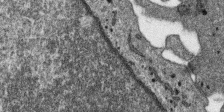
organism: Human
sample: Lung epithelial cells infected with SARS-CoV-2